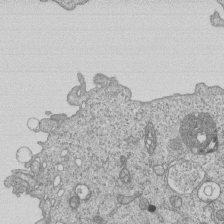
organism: Human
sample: MDA-MB-231 cells